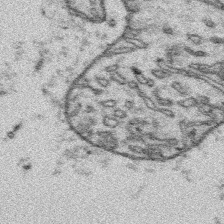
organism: Platynereis dumerilii